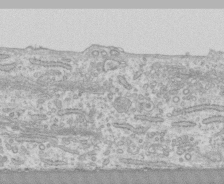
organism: Human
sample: CRL-1474